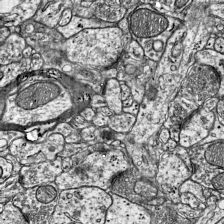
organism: Mouse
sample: Visual Cortex